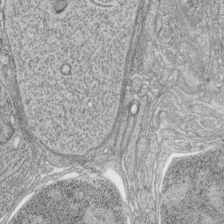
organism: Zebrafish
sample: synaptic ribbons in rod cells and cone cells